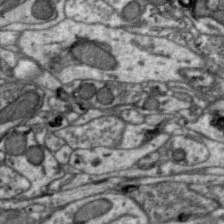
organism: Zebra finch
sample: Brain